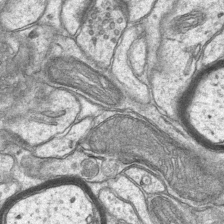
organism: Mouse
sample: CA1 Hippocampus